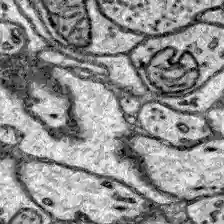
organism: Zebrafish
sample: Brain